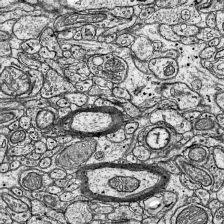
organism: Mouse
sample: Visual Cortex